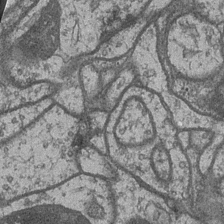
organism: Drosophila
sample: Optic medulla